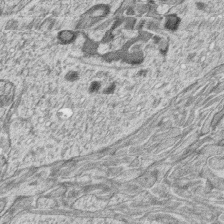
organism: Zebrafish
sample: synaptic ribbons in rod cells and cone cells